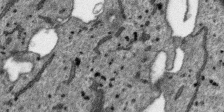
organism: Human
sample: Lung epithelial cells, uninfected (mock) control